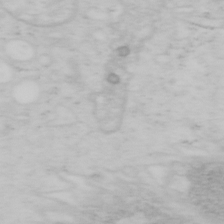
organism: Mouse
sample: OT-I killer T cells with ID8 ovarian cancer cells